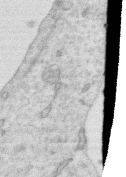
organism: Human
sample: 1205lu cells